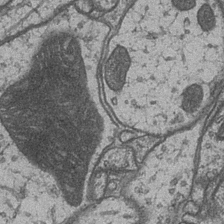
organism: Drosophila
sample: Optic medulla